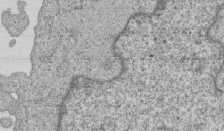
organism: Human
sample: MDA-MB-231 cells